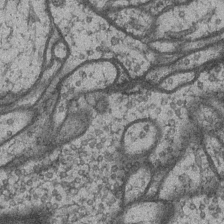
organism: Drosophila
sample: Optic medulla